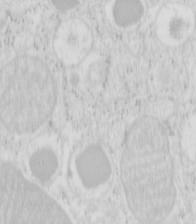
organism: Mouse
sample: Pancreas